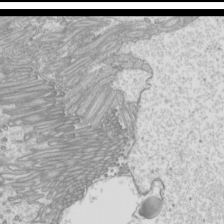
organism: Mouse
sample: Cilia; mouse epididymis